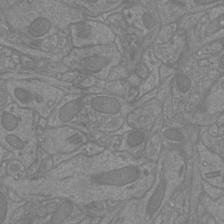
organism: Mouse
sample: Cortical neurons